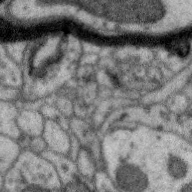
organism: Zebra finch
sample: Brain